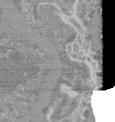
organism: Mouse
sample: Glomerulus